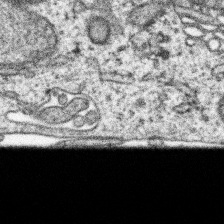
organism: Human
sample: HeLa cells